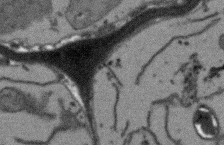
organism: Arabidopsis thaliana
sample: Root tip